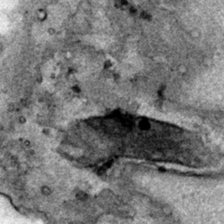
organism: Human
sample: Mitochondria in HCT116 cells